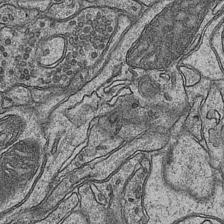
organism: Mouse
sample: CA1 Hippocampus